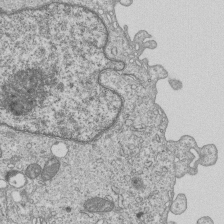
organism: Human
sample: MDA-MB-231 cells